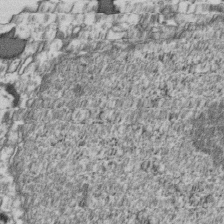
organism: Human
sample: Activated Jurkat CD4+ T cells